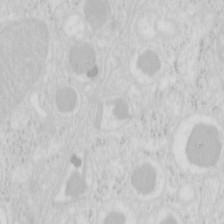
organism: Mouse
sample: Pancreas